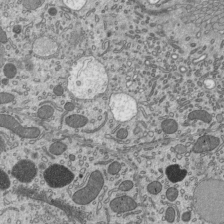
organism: Mouse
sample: Mouse epididymis efferent ductule cilia